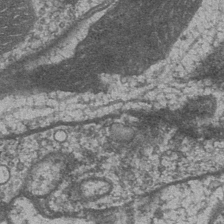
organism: Drosophila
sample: Optic medulla